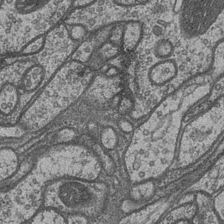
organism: Drosophila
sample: Optic medulla